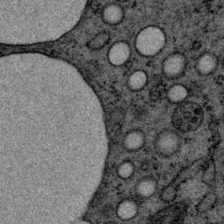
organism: P. pacificus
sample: Pharynx